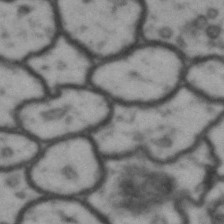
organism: Drosophila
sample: Brain